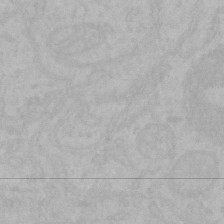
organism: Mouse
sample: Choroid plexus